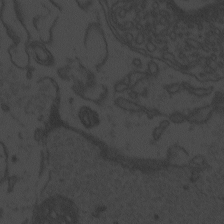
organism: Zebrafish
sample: Macrophage infected with Toxoplasma gondii